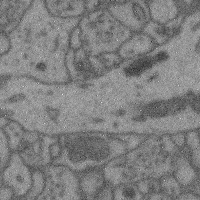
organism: Mouse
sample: Cerebral cortex